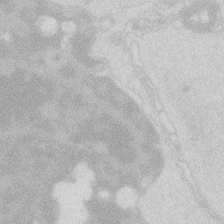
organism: Zebrafish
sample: Macrophage